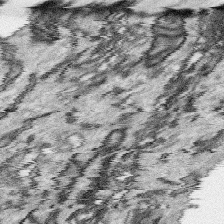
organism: Human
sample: HeLa cells